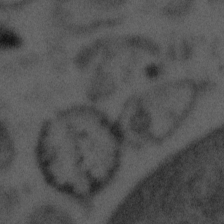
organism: Tuwongella immobilis